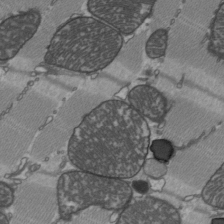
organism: C57BL Mouse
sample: Heart